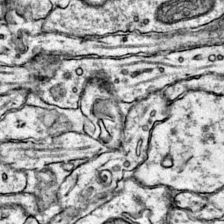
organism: Mouse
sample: Primary visual cortex